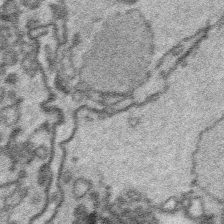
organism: Platynereis dumerilii